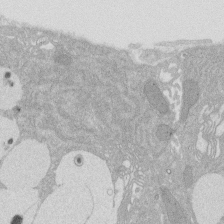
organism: Rat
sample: Salivary granule